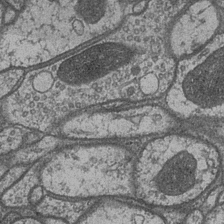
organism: Drosophila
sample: Optic medulla